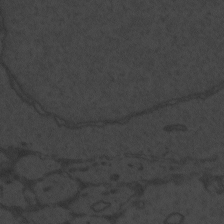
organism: Zebrafish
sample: Macrophage infected with Toxoplasma gondii